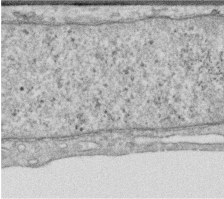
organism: Human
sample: Centriole in RPE cells